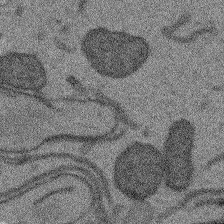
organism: Arabidopsis thaliana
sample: Root tip